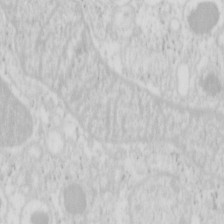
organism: Mouse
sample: Pancreas